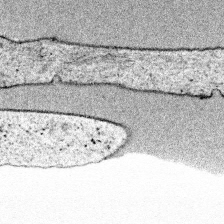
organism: Human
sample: HeLa cells